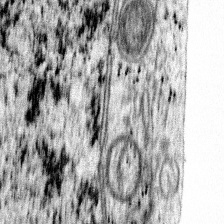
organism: Human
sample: HeLa cells